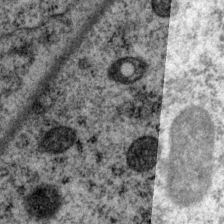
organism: P. pacificus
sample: Pharynx